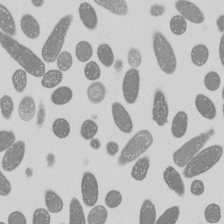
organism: E. coli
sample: Bacterial nucleoid